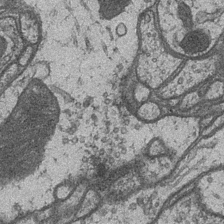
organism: Drosophila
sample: Optic medulla